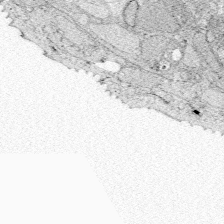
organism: Zebrafish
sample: Whole-Brain